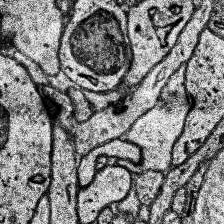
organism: Human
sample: Temporal Lobe